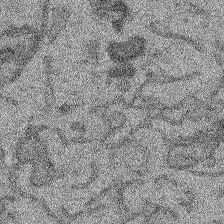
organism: Human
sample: HeLa cells